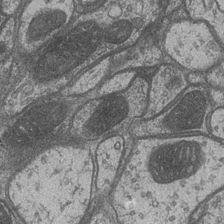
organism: Drosophila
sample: Optic medulla